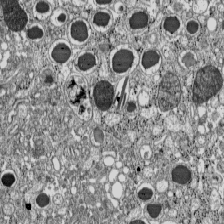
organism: C57BL Mouse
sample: Pancreatic islet